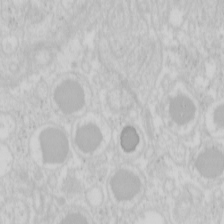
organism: Mouse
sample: Pancreas